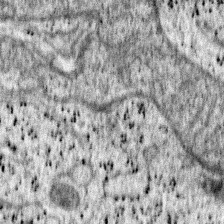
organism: Human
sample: HeLa cells